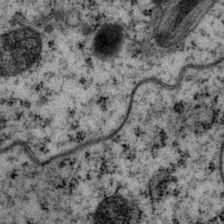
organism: P. pacificus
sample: Pharynx